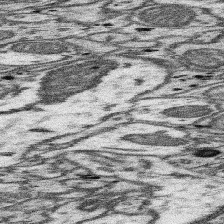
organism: Mouse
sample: Somatosensory cortex neuropil